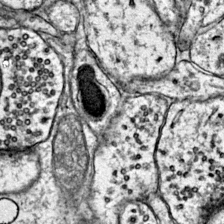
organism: Mouse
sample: Primary visual cortex